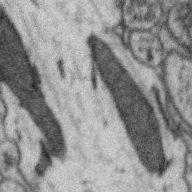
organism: Zebra finch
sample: Brain